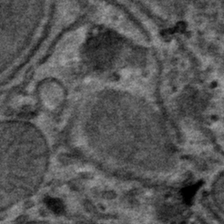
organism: Mouse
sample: Mouse hepatocytes